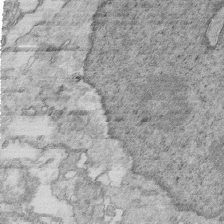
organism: Mouse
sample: Multiciliated cells